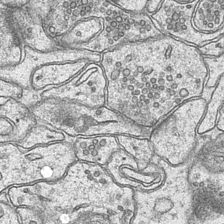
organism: Mouse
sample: CA1 Hippocampus